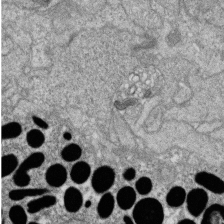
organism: Zebrafish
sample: Cilia; retinal pigment epithelium